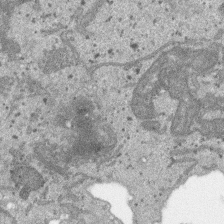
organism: Human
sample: Lung epithelial cells infected with SARS-CoV-2